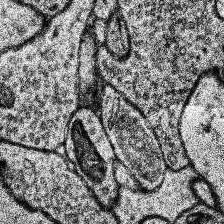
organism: Human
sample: Temporal Lobe